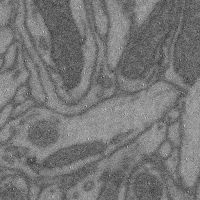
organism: Mouse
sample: Cerebral cortex